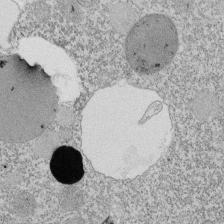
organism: Tetrahymena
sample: Cilia in tetrahymena